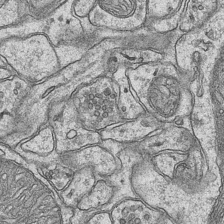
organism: Mouse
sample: CA1 Hippocampus